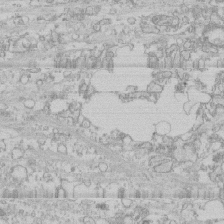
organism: Human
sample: CRL-1474